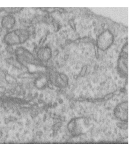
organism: Human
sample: Centriole in RPE cells